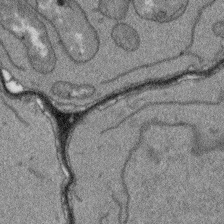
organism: Arabidopsis thaliana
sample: Root tip